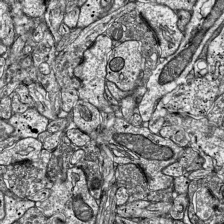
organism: Mouse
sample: Visual Cortex